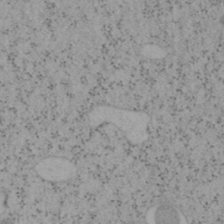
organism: Mouse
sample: OT-I killer T cells with ID8 ovarian cancer cells